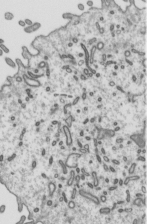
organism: Mouse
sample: Mouse epididymis efferent ductule cilia